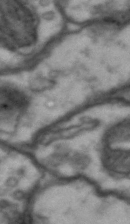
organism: Drosophila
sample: Brain